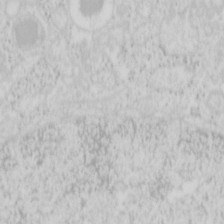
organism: Mouse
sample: Pancreas